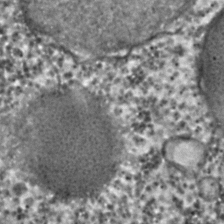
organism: C. elegans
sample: C. elegans embryo